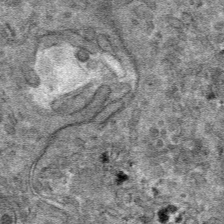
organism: Mouse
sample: Mouse hepatocytes